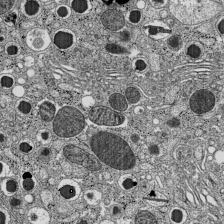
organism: C57BL Mouse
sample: Pancreatic islet